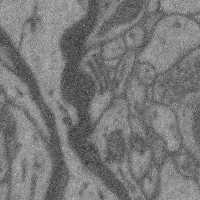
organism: Mouse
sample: Cerebral cortex